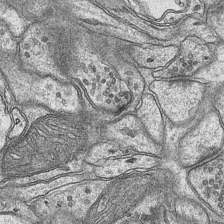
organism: Mouse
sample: CA1 Hippocampus